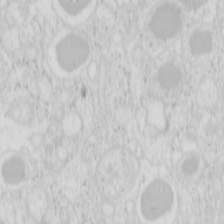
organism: Mouse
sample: Pancreas